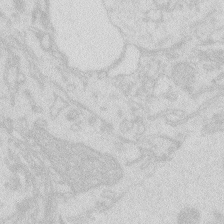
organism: Zebrafish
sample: Macrophage